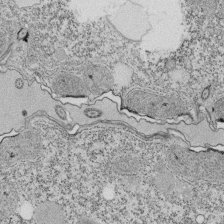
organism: Tetrahymena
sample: Cilia in tetrahymena